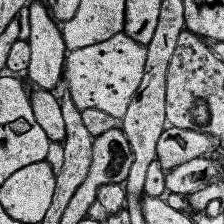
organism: Human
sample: Temporal Lobe